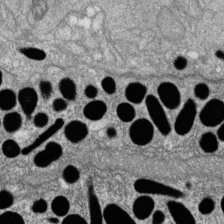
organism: Zebrafish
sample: Cilia; retinal pigment epithelium